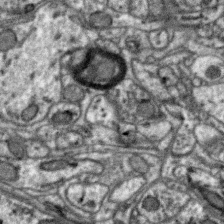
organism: Zebra finch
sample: Brain